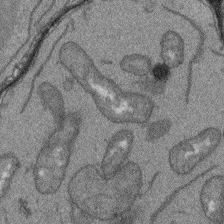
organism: Arabidopsis thaliana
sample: Root tip